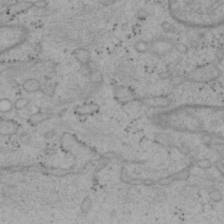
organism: Human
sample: HeLa cells